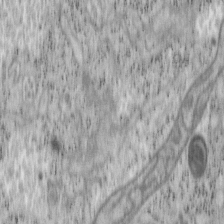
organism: Human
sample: HeLa cells